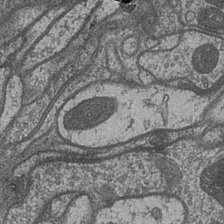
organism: Drosophila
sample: Optic medulla